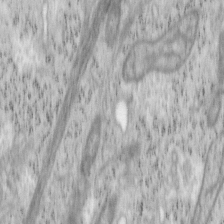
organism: Human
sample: HeLa cells